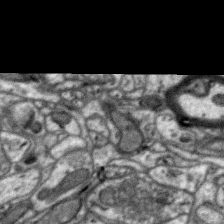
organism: Zebra finch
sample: Brain